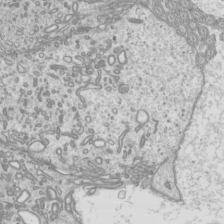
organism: Mouse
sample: Cilia; mouse epididymis